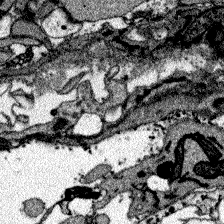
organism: Zebrafish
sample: Larval olfactory bulb